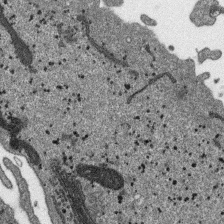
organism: Human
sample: Lung epithelial cells infected with SARS-CoV-2